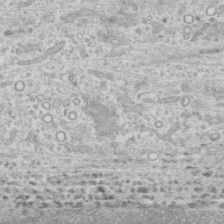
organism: Human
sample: CRL-1474